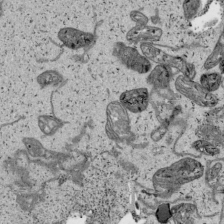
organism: Human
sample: Mitochondria in HCT116 cells